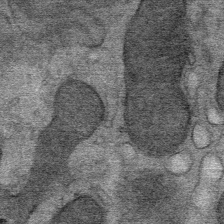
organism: Mouse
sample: Mouse Salivary gland